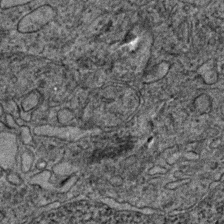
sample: Trachea